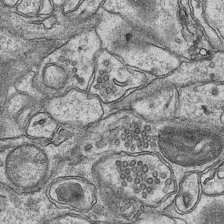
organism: Mouse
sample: CA1 Hippocampus